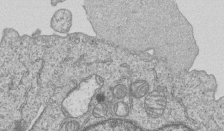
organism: Human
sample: MDA-MB-231 cells